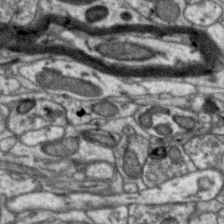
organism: Zebra finch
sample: Brain